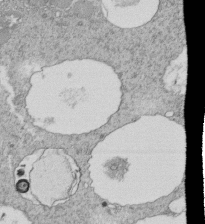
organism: Tetrahymena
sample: Cilia in tetrahymena